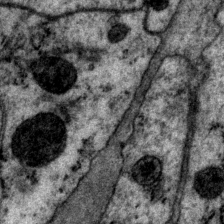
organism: P. pacificus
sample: Pharynx